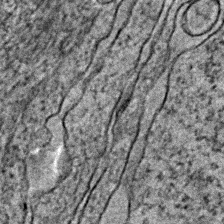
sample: Trachea